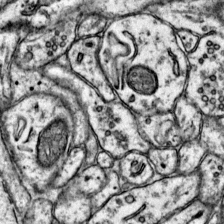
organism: Mouse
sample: Primary visual cortex